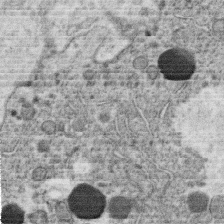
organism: C. elegans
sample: C. elegans oocyte; sperm cells